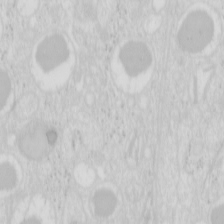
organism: Mouse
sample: Pancreas